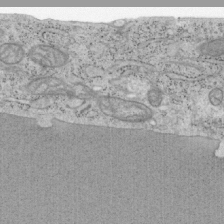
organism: Human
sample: HeLa cells